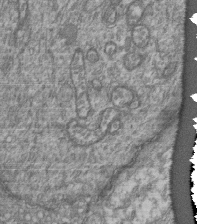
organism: Human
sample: Retinal organoid Rod and Cone cells